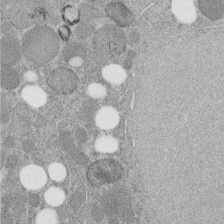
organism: C. elegans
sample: C. elegans embryo early stage